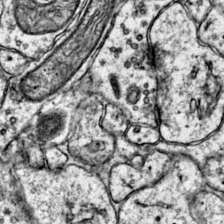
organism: Mouse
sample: Primary visual cortex